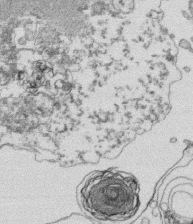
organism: Human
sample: HeLa cell HIV synapse